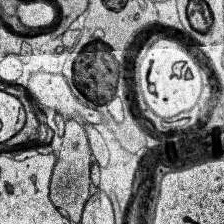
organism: Human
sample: Temporal Lobe